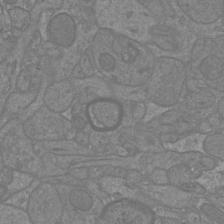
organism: Mouse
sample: Cortical neurons